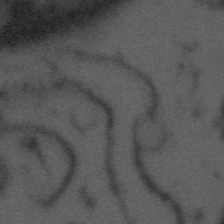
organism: Tuwongella immobilis